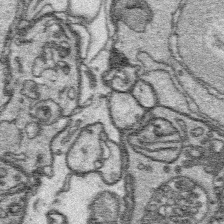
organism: Platynereis dumerilii